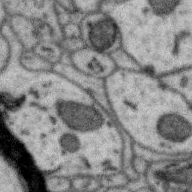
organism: Zebra finch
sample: Brain